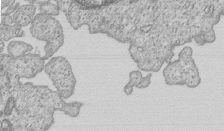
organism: Human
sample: MDA-MB-231 cells